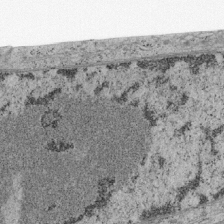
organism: Human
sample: HeLa cells